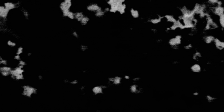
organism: Human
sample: Lung epithelial cells, uninfected (mock) control